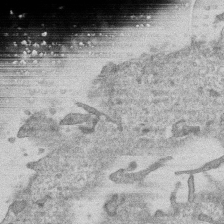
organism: Human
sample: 1205lu cells